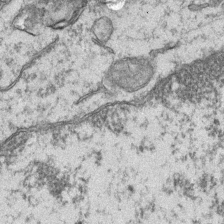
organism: Mouse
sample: CA1 Hippocampus